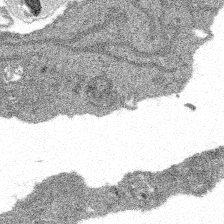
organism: Spongilla lacustris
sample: Multiple